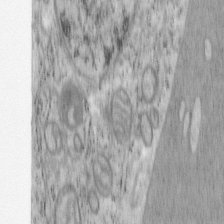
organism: Human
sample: HeLa cells